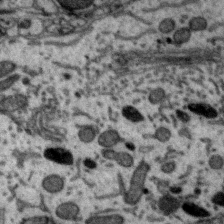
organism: Zebra finch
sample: Brain